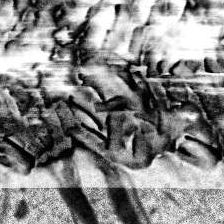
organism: Human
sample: Temporal Lobe